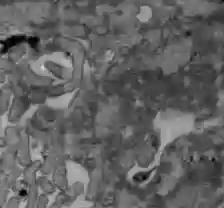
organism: C57BL Mouse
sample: Liver